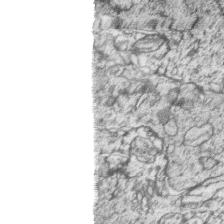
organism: Zebrafish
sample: synaptic ribbons in rod cells and cone cells